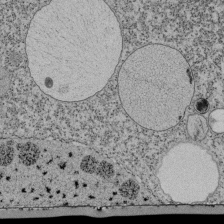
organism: Tetrahymena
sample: Cilia in tetrahymena